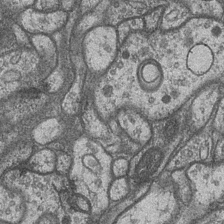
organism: Drosophila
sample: Optic medulla